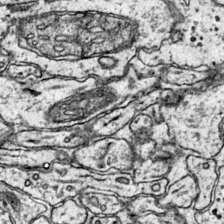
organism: Mouse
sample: Primary visual cortex